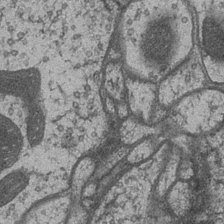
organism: Drosophila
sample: Optic medulla